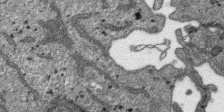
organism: Human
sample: Lung epithelial cells infected with SARS-CoV-2